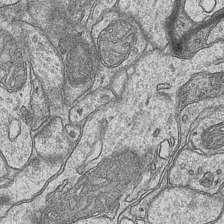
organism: Mouse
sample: CA1 Hippocampus